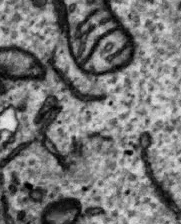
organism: Human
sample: HeLa cells